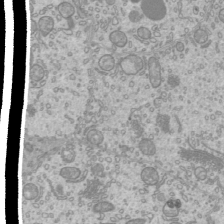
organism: Mouse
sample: Cilia; mouse epididymis